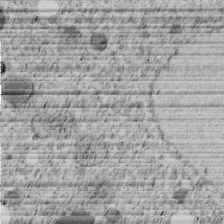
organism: C. elegans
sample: C. elegans embryo early stage